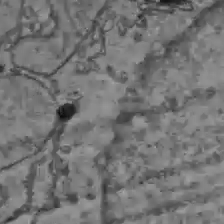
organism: C57BL Mouse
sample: Liver